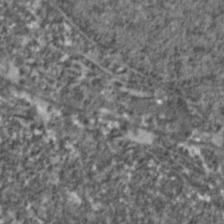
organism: Zebrafish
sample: Zebrafish embryo